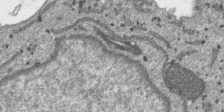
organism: Human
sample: Lung epithelial cells infected with SARS-CoV-2